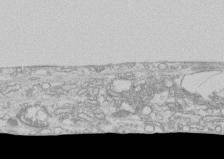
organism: Human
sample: CRL-1474